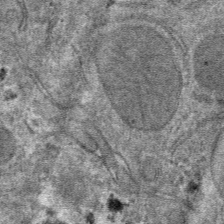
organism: Mouse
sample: Mouse hepatocytes